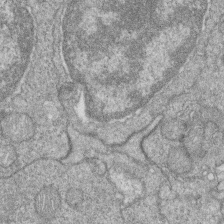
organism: Zebrafish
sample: Cilia; retinal pigment epithelium